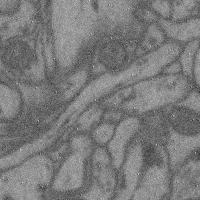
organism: Mouse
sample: Cerebral cortex